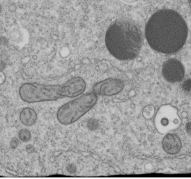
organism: C. elegans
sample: C. elegans embryo early stage